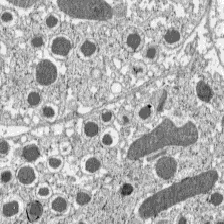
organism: C57BL Mouse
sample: Pancreatic islet